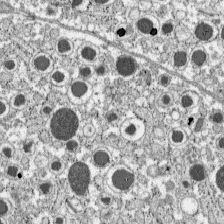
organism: C57BL Mouse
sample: Pancreatic islet